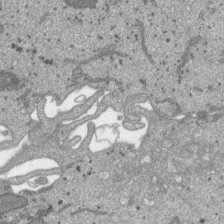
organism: Human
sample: Lung epithelial cells infected with SARS-CoV-2